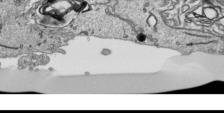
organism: Human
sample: Mitochondria in HCT116 cells